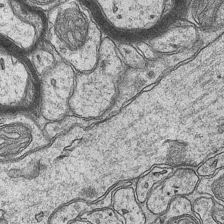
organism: Mouse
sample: CA1 Hippocampus